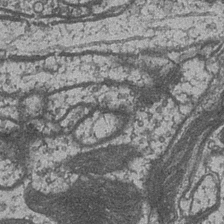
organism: Drosophila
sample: Optic medulla